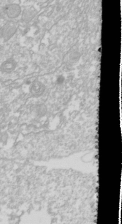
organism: Drosophila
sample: Cell division; meiosis; drosophila spermatocytes